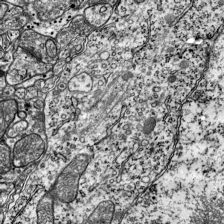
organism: Mouse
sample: Visual Cortex